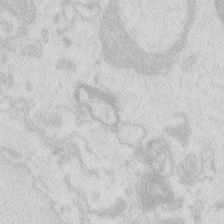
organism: Zebrafish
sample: Macrophage